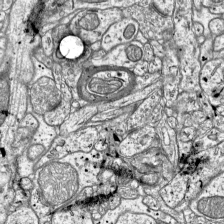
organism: Mouse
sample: Visual Cortex